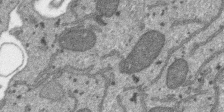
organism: Human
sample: Lung epithelial cells infected with SARS-CoV-2